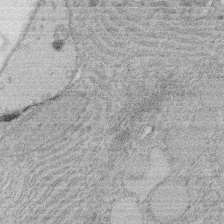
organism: Rat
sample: Salivary granule